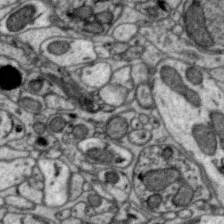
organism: Zebra finch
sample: Brain